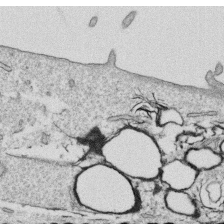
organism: Human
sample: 1205lu cells